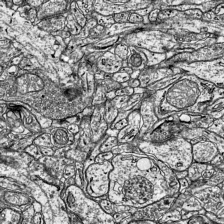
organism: Mouse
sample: Visual Cortex